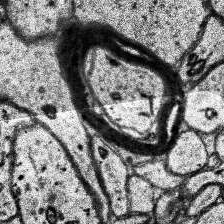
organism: Human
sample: Temporal Lobe